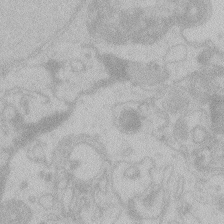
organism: Zebrafish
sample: Macrophage infected with Toxoplasma gondii